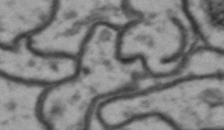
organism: Drosophila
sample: Brain